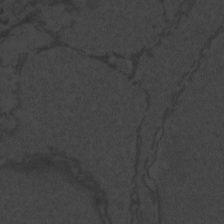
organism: Zebrafish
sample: Macrophage infected with Toxoplasma gondii